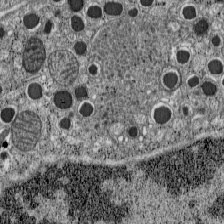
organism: C57BL Mouse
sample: Pancreatic islet